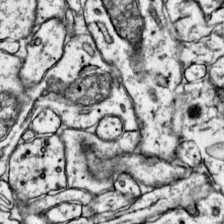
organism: Mouse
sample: Primary visual cortex